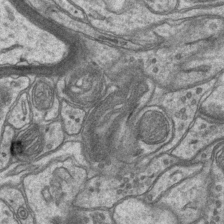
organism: Mouse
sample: CA1 Hippocampus